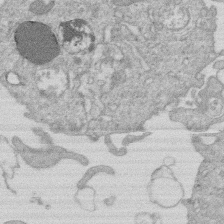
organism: Human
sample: Macrophage cells